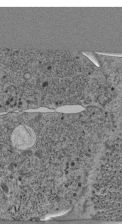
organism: C. elegans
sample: C. elegans pharynx